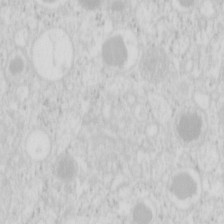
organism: Mouse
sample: Pancreas